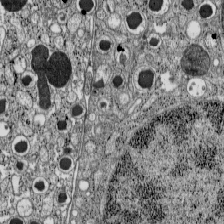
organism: C57BL Mouse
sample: Pancreatic islet